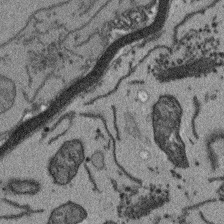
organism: Arabidopsis thaliana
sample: Root tip